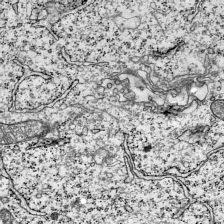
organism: Mouse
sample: Visual Cortex